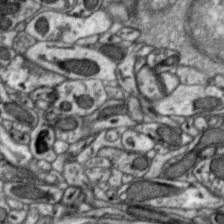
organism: Zebra finch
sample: Brain